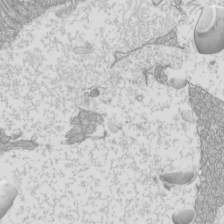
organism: Mouse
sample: Cilia; mouse epididymis